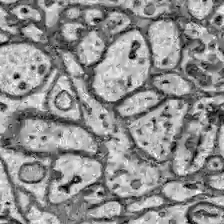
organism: Zebrafish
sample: Brain